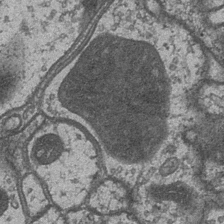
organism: Drosophila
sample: Optic medulla